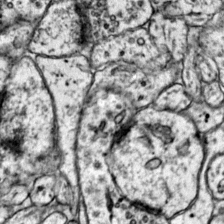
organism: Mouse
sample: Primary visual cortex